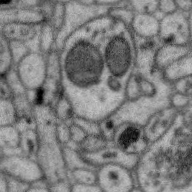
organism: Zebra finch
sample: Brain